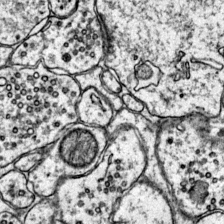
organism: Mouse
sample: Primary visual cortex